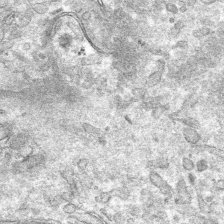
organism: Mouse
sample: Mouse hepatocytes